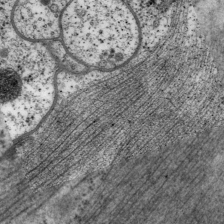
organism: P. pacificus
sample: Pharynx